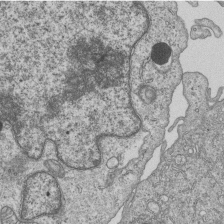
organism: Human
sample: MDA-MB-231 cells